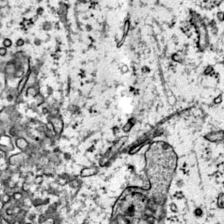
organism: Mouse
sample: Primary visual cortex